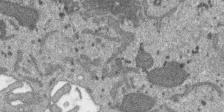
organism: Human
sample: Lung epithelial cells infected with SARS-CoV-2